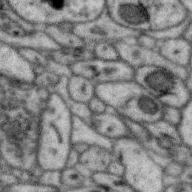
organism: Zebra finch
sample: Brain